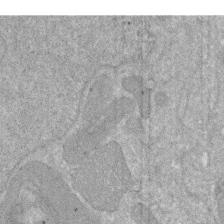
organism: Human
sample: HIV infected U937 cells